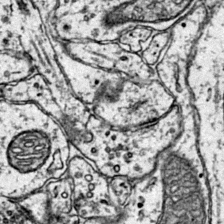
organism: Mouse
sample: Primary visual cortex